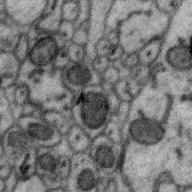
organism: Zebra finch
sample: Brain